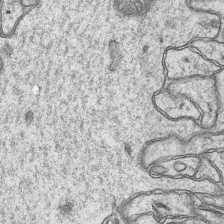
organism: Mouse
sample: CA1 Hippocampus